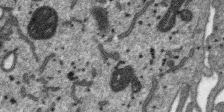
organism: Human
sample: Lung epithelial cells infected with SARS-CoV-2